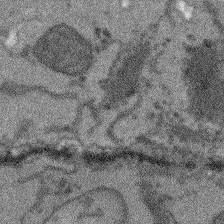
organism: Arabidopsis thaliana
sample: Root tip